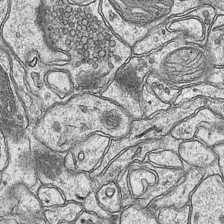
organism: Mouse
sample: CA1 Hippocampus